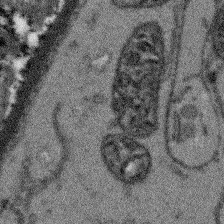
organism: Arabidopsis thaliana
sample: Root tip